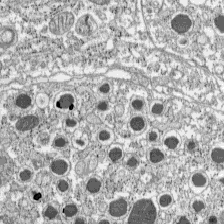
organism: C57BL Mouse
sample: Pancreatic islet